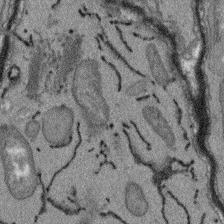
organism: Arabidopsis thaliana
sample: Root tip